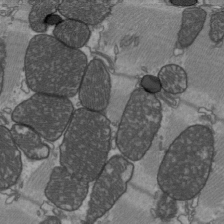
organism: C57BL Mouse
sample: Heart